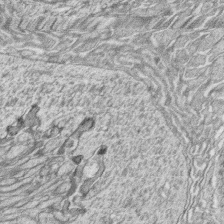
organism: Zebrafish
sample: synaptic ribbons in rod cells and cone cells